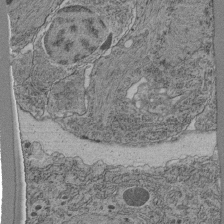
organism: C. elegans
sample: C. elegans pharynx